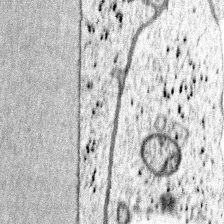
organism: Human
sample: HeLa cells